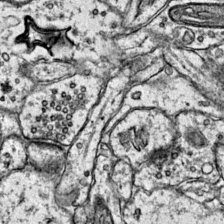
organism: Mouse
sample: Primary visual cortex